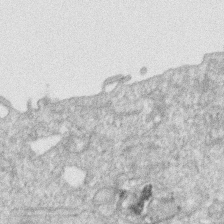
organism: Human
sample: HeLa cell HIV synapse